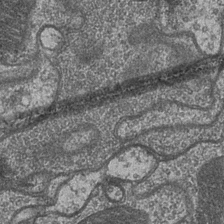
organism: Drosophila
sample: Optic medulla